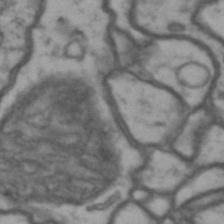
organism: Drosophila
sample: Brain